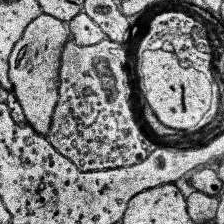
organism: Human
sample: Temporal Lobe